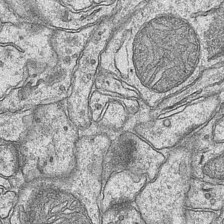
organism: Mouse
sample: CA1 Hippocampus